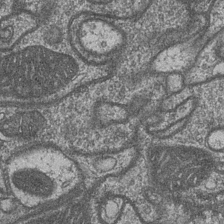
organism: Drosophila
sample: Optic medulla